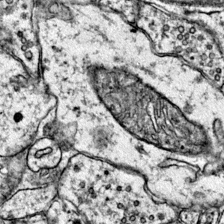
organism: Mouse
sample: Primary visual cortex